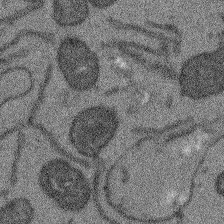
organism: Arabidopsis thaliana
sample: Root tip